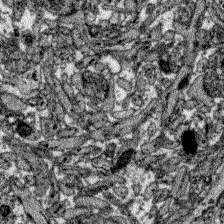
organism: Zebrafish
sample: Larval olfactory bulb